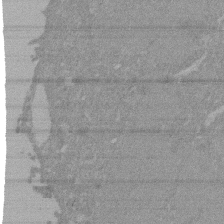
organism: Mouse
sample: ED-1 cell nuclei; centrioles